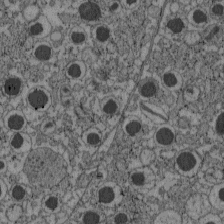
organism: C57BL Mouse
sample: Pancreatic islet